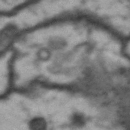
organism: Drosophila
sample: Brain